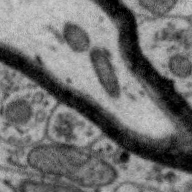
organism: Zebra finch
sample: Brain